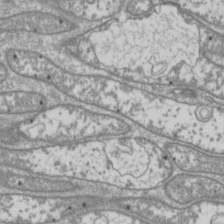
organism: Drosophila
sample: Cell division; meiosis; drosophila spermatocytes